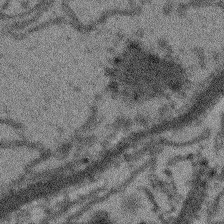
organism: Arabidopsis thaliana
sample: Root tip